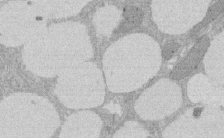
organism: Rat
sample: Salivary granule